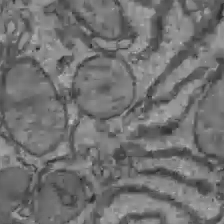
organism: C57BL Mouse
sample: Liver